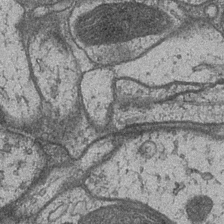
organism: Drosophila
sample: Optic medulla